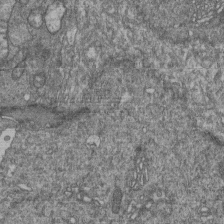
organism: Human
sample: Retinal organoid Rod and Cone cells